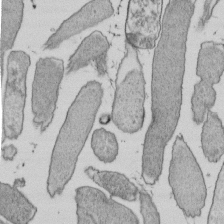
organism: E. coli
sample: Bacterial nucleoid